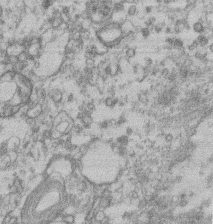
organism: Mouse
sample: T cell stromal cell synapse